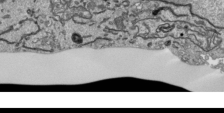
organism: Human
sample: Mitochondria in HCT116 cells